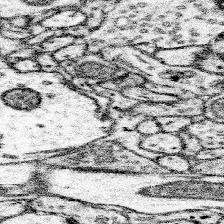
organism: Mouse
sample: Somatosensory cortex neuropil